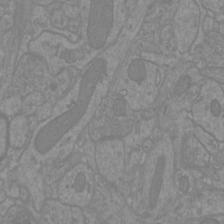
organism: Mouse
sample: Cortical neurons